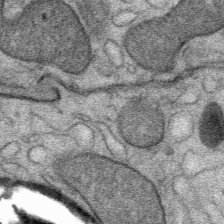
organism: Mouse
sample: Mouse Salivary gland